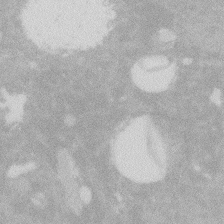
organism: Zebrafish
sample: Macrophage